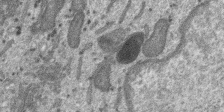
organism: Human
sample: Lung epithelial cells infected with SARS-CoV-2